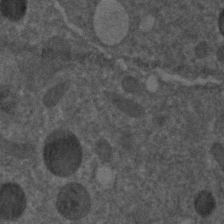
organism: C. elegans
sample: C. elegans embryo